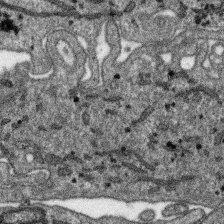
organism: Human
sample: Lung epithelial cells infected with SARS-CoV-2